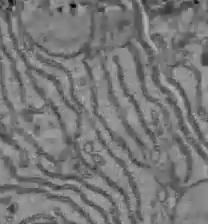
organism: C57BL Mouse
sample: Liver